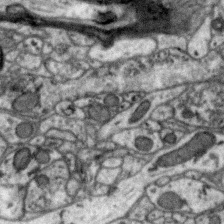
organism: Zebra finch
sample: Brain